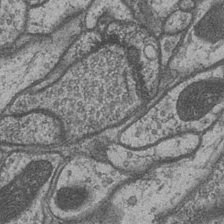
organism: Drosophila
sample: Optic medulla